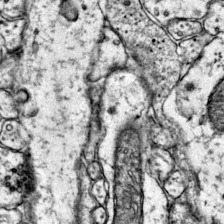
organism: Mouse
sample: Primary visual cortex